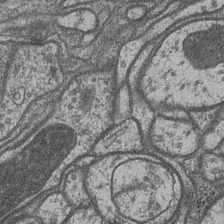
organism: Drosophila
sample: Optic medulla